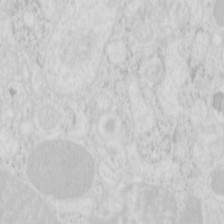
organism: Mouse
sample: Pancreas